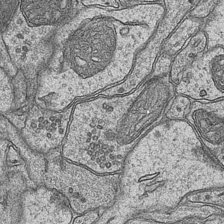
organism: Mouse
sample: CA1 Hippocampus